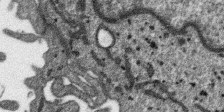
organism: Human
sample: Lung epithelial cells infected with SARS-CoV-2